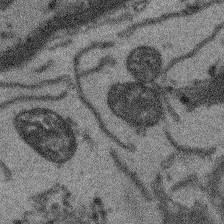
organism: Arabidopsis thaliana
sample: Root tip